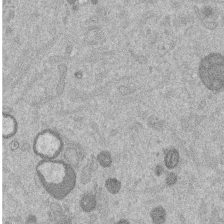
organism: Mouse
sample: Dividing mouse embryo 1 cell stage